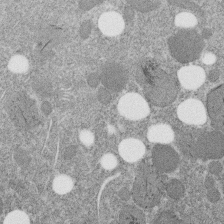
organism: C. elegans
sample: C. elegans embryo early stage